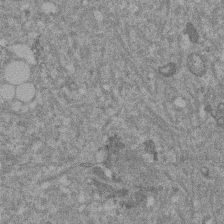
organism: Mouse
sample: Dividing mouse embryo 1 cell stage